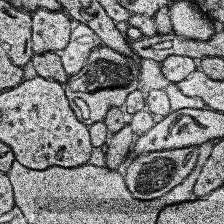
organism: Human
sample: Temporal Lobe